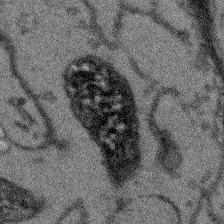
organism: Arabidopsis thaliana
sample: Root tip